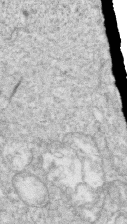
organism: Human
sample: HeLa cell HIV synapse